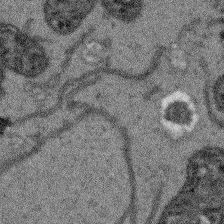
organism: Arabidopsis thaliana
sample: Root tip